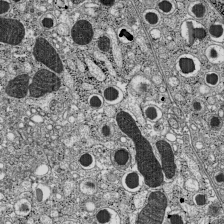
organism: C57BL Mouse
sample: Pancreatic islet